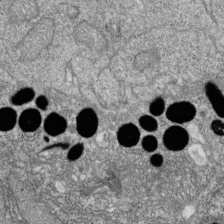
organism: Zebrafish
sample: Cilia; retinal pigment epithelium